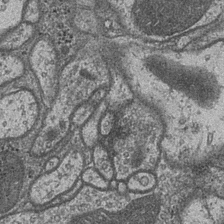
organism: Drosophila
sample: Optic medulla